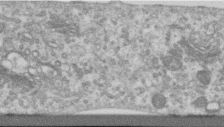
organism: Human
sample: Centriole in RPE cells